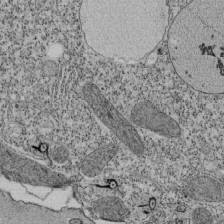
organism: Tetrahymena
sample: Cilia in tetrahymena